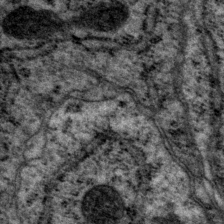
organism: P. pacificus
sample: Pharynx